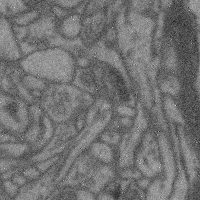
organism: Mouse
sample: Cerebral cortex